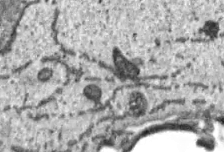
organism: Human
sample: HeLa cells